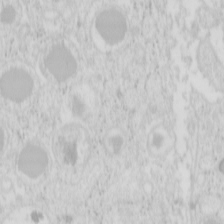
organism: Mouse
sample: Pancreas